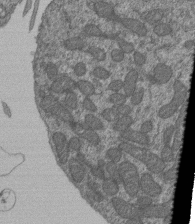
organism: Human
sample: Retinal organoid Rod and Cone cells